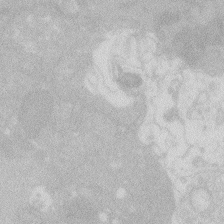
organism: Zebrafish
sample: Macrophage